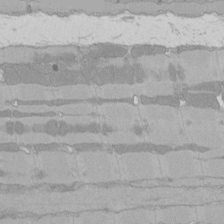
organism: Rat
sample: Left ventricle